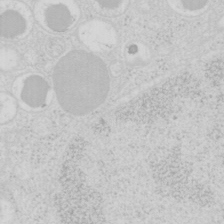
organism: Mouse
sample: Pancreas